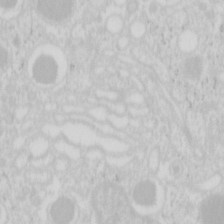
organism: Mouse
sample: Pancreas